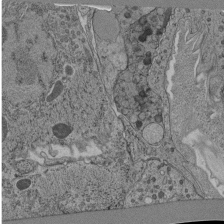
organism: C. elegans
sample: C. elegans pharynx